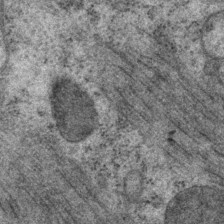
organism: P. pacificus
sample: Pharynx